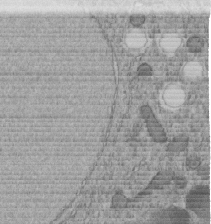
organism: C. elegans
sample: C. elegans embryo early stage